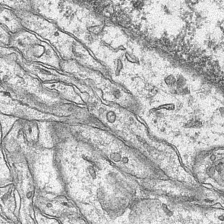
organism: Mouse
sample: CA1 Hippocampus